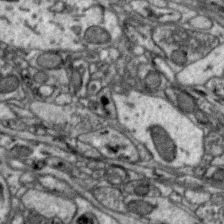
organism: Zebra finch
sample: Brain